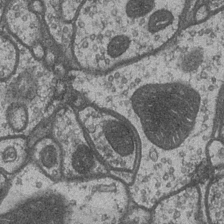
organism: Drosophila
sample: Optic medulla